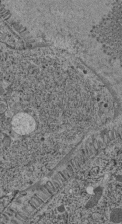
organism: C. elegans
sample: C. elegans pharynx